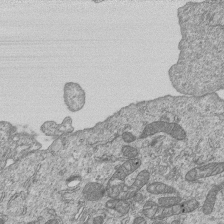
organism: Human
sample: MDA-MB-231 cells